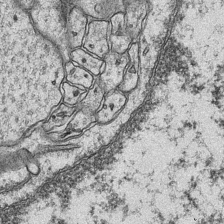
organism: Mouse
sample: CA1 Hippocampus